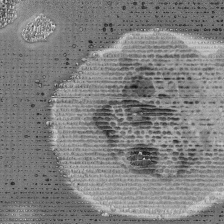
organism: Mouse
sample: Activated Pmel transgenic CD8+ T Cells